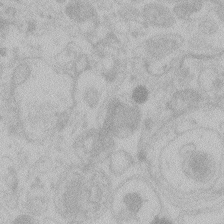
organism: Zebrafish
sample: Macrophage infected with Toxoplasma gondii